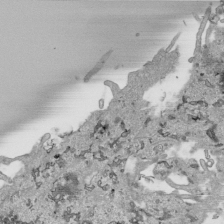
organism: Human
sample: Mitochondria in HCT116 cells